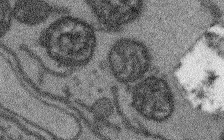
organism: Arabidopsis thaliana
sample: Root tip